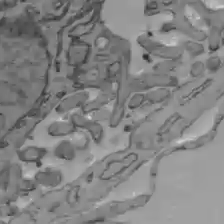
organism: C57BL Mouse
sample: Liver